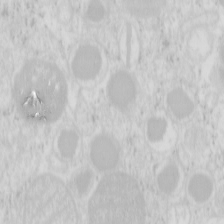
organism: Mouse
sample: Pancreas